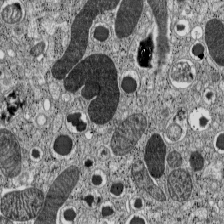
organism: C57BL Mouse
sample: Pancreatic islet